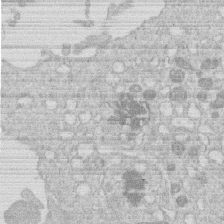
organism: Human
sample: Macrophage cells